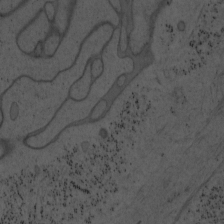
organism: Mouse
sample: OT-I killer T cells with ID8 ovarian cancer cells